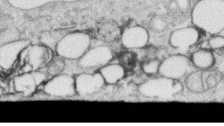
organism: Human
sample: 1205lu cells